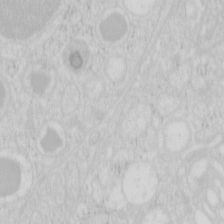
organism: Mouse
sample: Pancreas